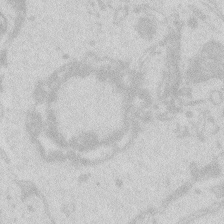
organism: Zebrafish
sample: Macrophage